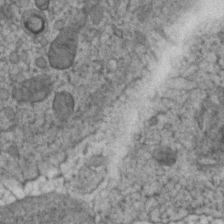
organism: Zebrafish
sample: Zebrafish embryo